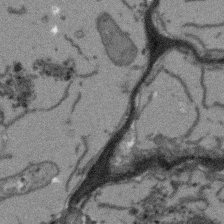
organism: Arabidopsis thaliana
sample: Root tip